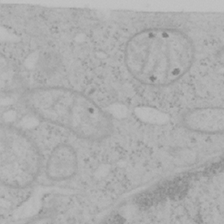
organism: Mouse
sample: OT-I killer T cells with ID8 ovarian cancer cells